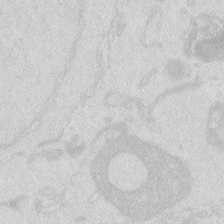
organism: Zebrafish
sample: Macrophage